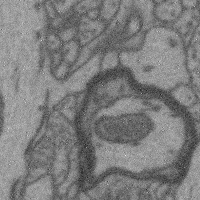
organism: Mouse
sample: Cerebral cortex